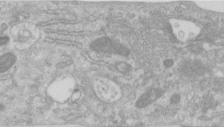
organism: Human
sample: Centriole in RPE cells